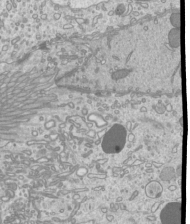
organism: Mouse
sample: Cilia; mouse epididymis